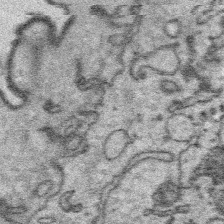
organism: Platynereis dumerilii